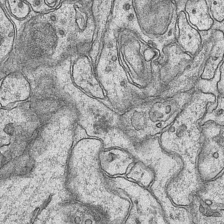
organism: Mouse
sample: CA1 Hippocampus